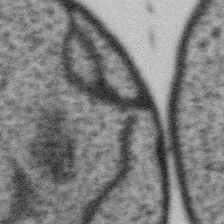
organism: Gemmata obscuriglobus